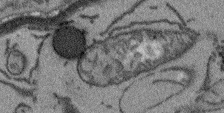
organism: Arabidopsis thaliana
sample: Root tip